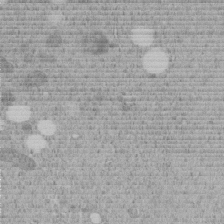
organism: C. elegans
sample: C. elegans embryo early stage